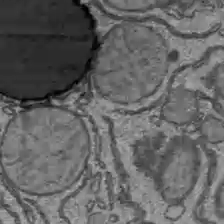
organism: C57BL Mouse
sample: Liver